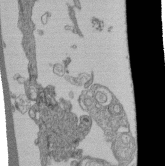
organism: Human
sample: Retinal organoid Rod and Cone cells